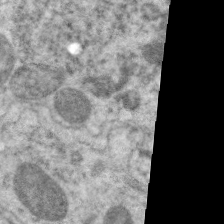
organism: C. elegans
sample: Pharynx